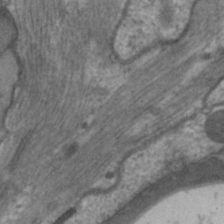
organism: C. elegans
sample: Pharynx